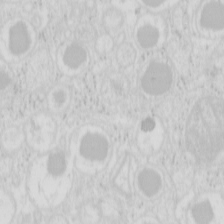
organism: Mouse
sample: Pancreas